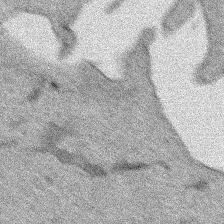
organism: Human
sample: Mitochondria in HCT116 cells